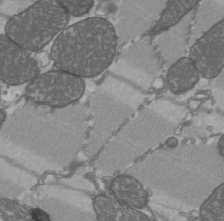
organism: C57BL Mouse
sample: Heart